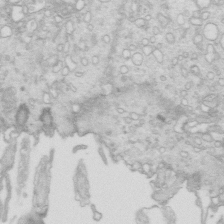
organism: Mouse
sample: Multiciliated cells